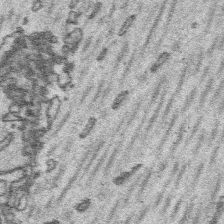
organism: Platynereis dumerilii